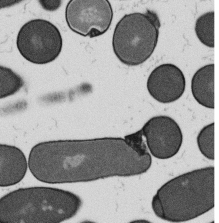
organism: B. subtilis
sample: Bacterial spore